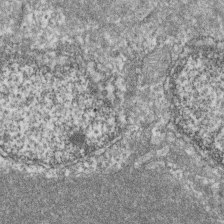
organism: Zebrafish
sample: Cilia; retinal pigment epithelium